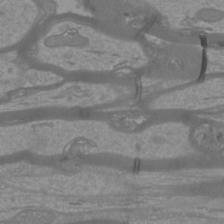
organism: Mouse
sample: Cortical neurons